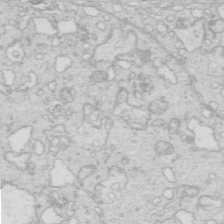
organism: Mouse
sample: Multiciliated cells